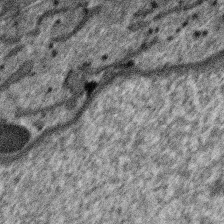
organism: Human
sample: Lung epithelial cells infected with SARS-CoV-2